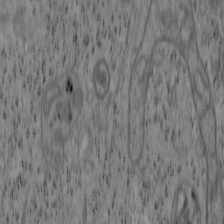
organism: Human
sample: HeLa cells